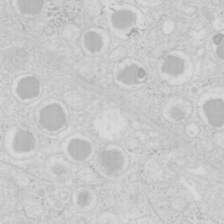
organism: Mouse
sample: Pancreas